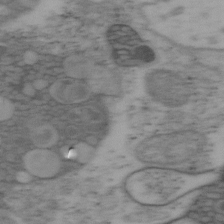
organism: Mouse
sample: OT-I killer T cells with ID8 ovarian cancer cells